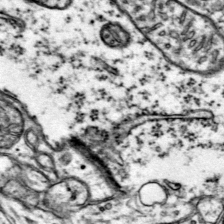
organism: Mouse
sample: Primary visual cortex